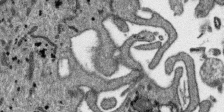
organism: Human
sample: Lung epithelial cells, uninfected (mock) control